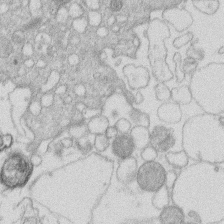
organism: Human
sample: Macrophage cells